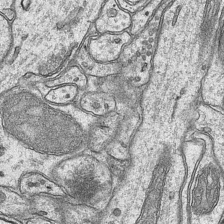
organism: Mouse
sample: CA1 Hippocampus